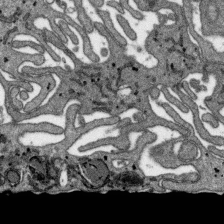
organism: Human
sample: Lung epithelial cells, uninfected (mock) control